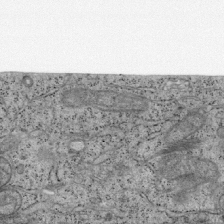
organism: Human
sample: HeLa cells